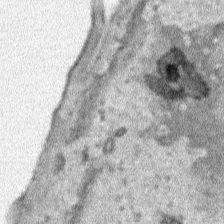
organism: Human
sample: Mitochondria in HCT116 cells